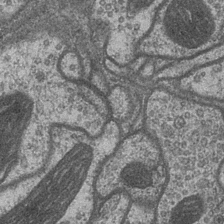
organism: Drosophila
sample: Optic medulla